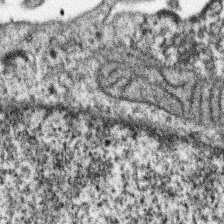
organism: Human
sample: HeLa cells